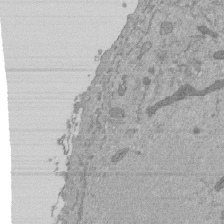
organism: Mouse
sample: ED-1 cell nuclei; centrioles